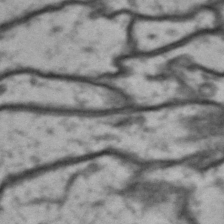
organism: Drosophila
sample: Brain